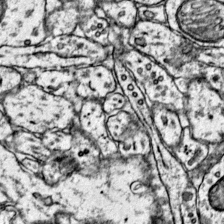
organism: Mouse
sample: Primary visual cortex